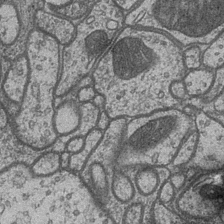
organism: Drosophila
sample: Optic medulla